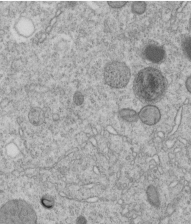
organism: C. elegans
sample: C. elegans embryo early stage